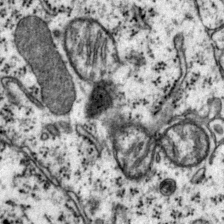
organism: Mouse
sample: Primary visual cortex